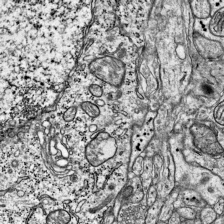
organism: Mouse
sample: Visual Cortex